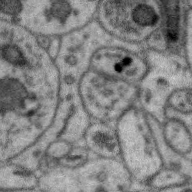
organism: Zebra finch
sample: Brain